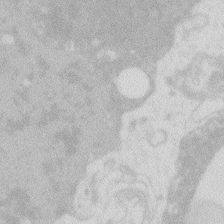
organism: Zebrafish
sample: Macrophage